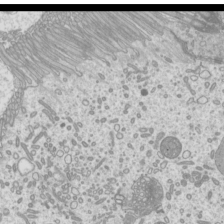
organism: Mouse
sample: Cilia; mouse epididymis